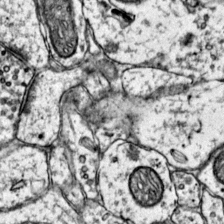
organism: Mouse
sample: Primary visual cortex